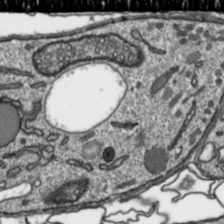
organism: Toxoplasma gondii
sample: Parasites in a vacuole inside a host cell